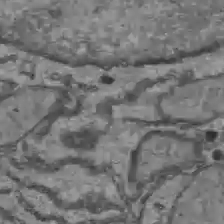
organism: C57BL Mouse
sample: Liver